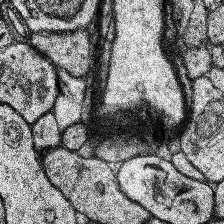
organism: Human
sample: Temporal Lobe